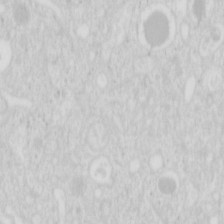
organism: Mouse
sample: Pancreas